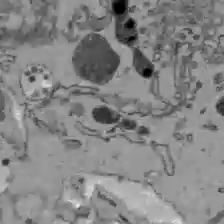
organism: C57BL Mouse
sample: Liver